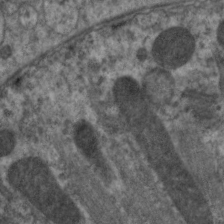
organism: C. elegans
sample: Pharynx